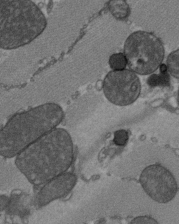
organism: C57BL Mouse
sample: Heart